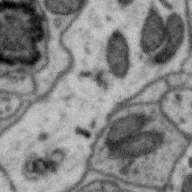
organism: Zebra finch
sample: Brain